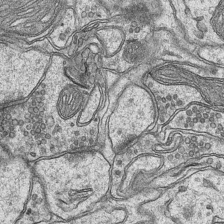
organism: Mouse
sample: CA1 Hippocampus